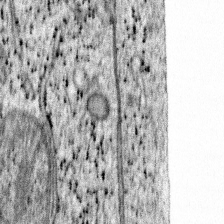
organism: Human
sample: HeLa cells